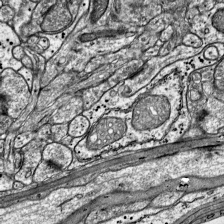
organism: Mouse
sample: Visual Cortex